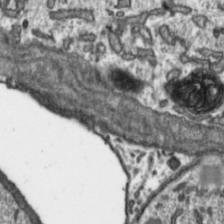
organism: Toxoplasma gondii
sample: Parasites in a vacuole inside a host cell